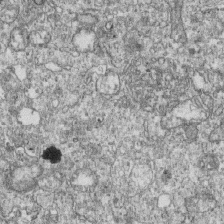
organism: Human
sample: HeLa cell HIV synapse